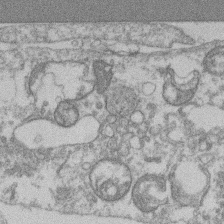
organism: Mouse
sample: T cell stromal cell synapse